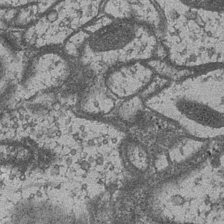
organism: Drosophila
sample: Optic medulla